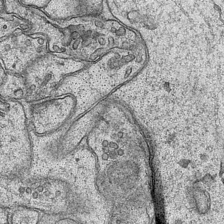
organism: Mouse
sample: CA1 Hippocampus